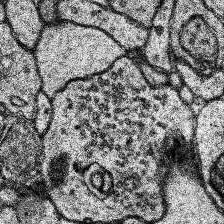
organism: Human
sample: Temporal Lobe